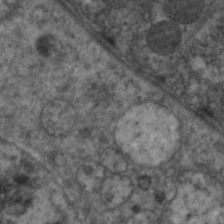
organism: C. elegans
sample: Pharynx